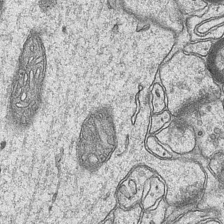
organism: Mouse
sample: CA1 Hippocampus